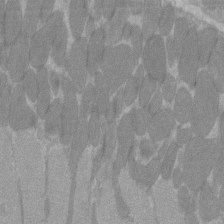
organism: C57BL Mouse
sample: Tibialis anterior muscle cell